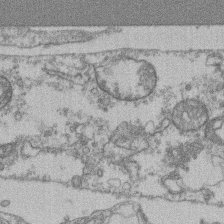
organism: Mouse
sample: T cell stromal cell synapse